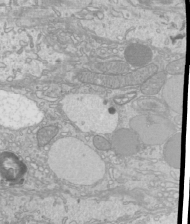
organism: Mouse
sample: Cilia; mouse epididymis